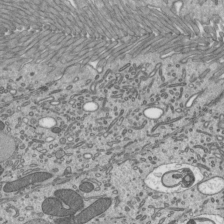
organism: Mouse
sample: Mouse epididymis efferent ductule cilia